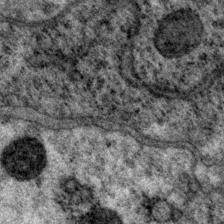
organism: P. pacificus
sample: Pharynx